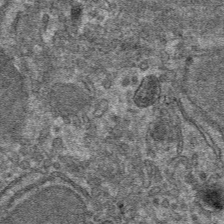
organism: Mouse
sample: Mouse hepatocytes